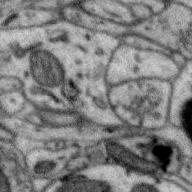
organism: Zebra finch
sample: Brain